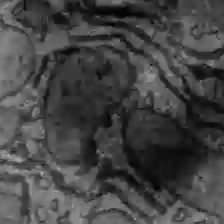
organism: C57BL Mouse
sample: Liver